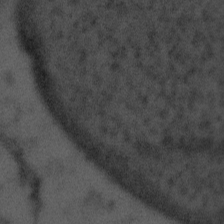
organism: Tuwongella immobilis